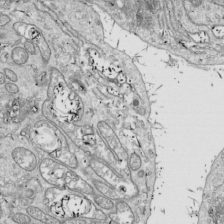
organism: Drosophila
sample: Cell division; meiosis; drosophila spermatocytes